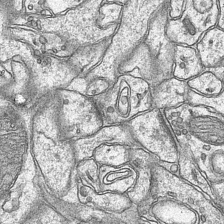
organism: Mouse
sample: CA1 Hippocampus